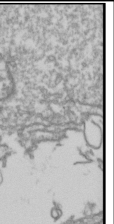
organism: Drosophila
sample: Cell division; meiosis; drosophila spermatocytes